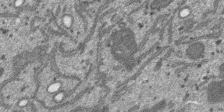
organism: Human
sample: Lung epithelial cells infected with SARS-CoV-2